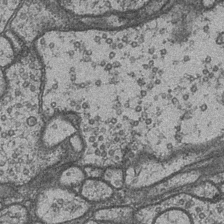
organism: Drosophila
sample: Optic medulla